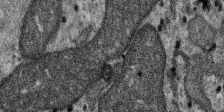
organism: Human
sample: Lung epithelial cells infected with SARS-CoV-2